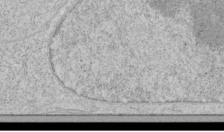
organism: Human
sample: Mitochondria in HCT116 cells